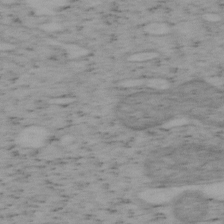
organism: Mouse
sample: OT-I killer T cells with ID8 ovarian cancer cells